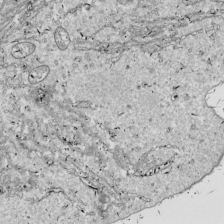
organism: Drosophila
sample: Cell division; meiosis; drosophila spermatocytes